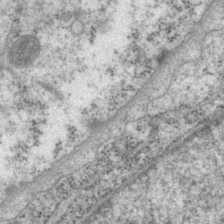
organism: P. pacificus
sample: Pharynx